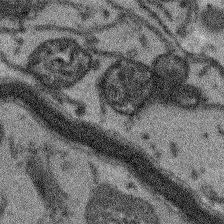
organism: Arabidopsis thaliana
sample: Root tip